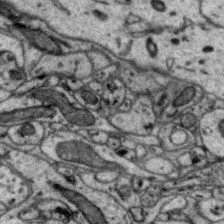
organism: Zebra finch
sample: Brain